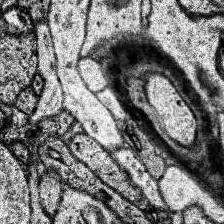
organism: Human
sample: Temporal Lobe